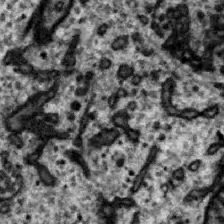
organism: Human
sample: HeLa cells